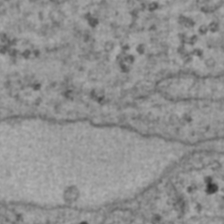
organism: Human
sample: Blood